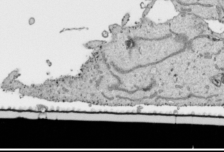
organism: Human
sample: Mitochondria in HCT116 cells